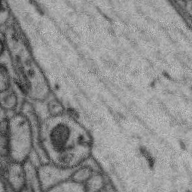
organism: Zebra finch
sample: Brain